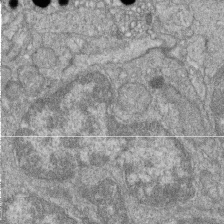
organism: Zebrafish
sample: Cilia; retinal pigment epithelium